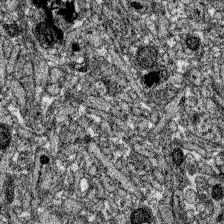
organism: Zebrafish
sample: Larval olfactory bulb